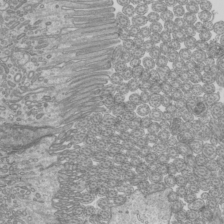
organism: Mouse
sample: Cilia; mouse epididymis